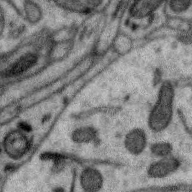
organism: Zebra finch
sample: Brain